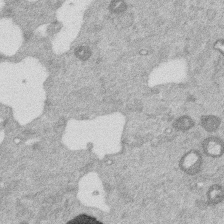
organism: Mouse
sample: Dividing mouse embryo 1 cell stage